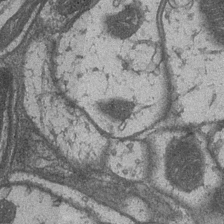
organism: Drosophila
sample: Optic medulla